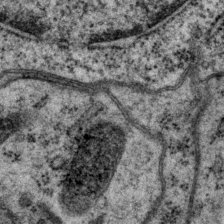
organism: P. pacificus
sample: Pharynx